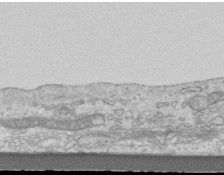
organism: Mouse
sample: Centriole in ependymal cells